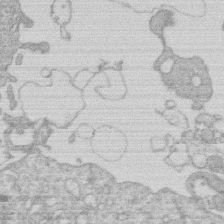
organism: Human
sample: Macrophage cells